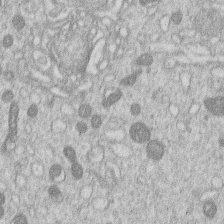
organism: Human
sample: Macrophage cells